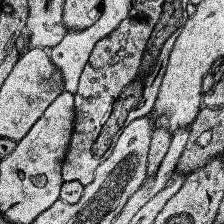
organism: Human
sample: Temporal Lobe